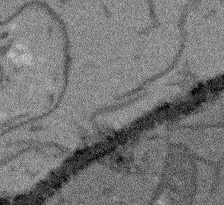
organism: Arabidopsis thaliana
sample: Root tip